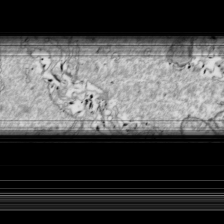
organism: Drosophila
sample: Cell division; meiosis; drosophila spermatocytes